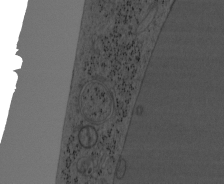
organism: Mouse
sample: OT-I killer T cells with ID8 ovarian cancer cells